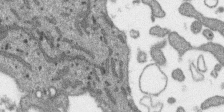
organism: Human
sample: Lung epithelial cells infected with SARS-CoV-2